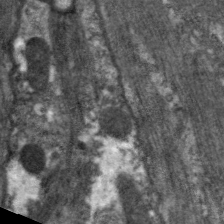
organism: C. elegans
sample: Pharynx